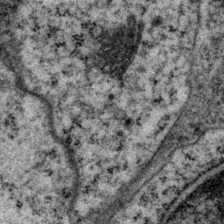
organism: P. pacificus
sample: Pharynx